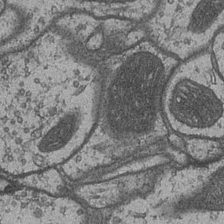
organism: Drosophila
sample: Optic medulla